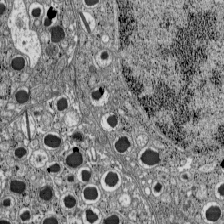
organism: C57BL Mouse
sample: Pancreatic islet